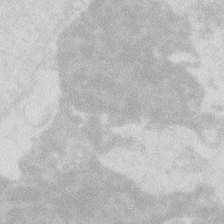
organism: Zebrafish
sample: Macrophage